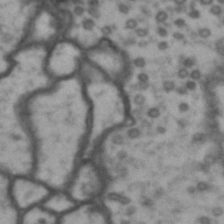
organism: Drosophila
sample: Brain